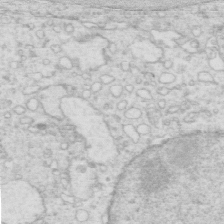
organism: Mouse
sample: Multiciliated cells